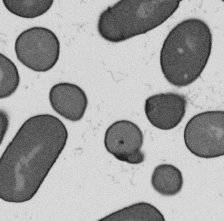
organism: B. subtilis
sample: Bacterial spore